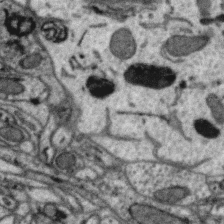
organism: Zebra finch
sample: Brain